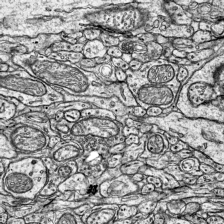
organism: Mouse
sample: Visual Cortex